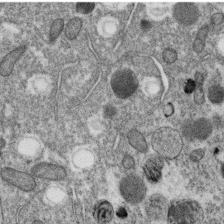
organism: C. elegans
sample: C. elegans oocyte; sperm cells